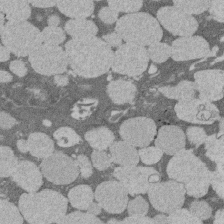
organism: Rat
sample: Salivary granule